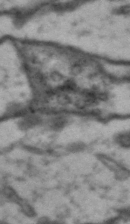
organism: Drosophila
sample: Brain